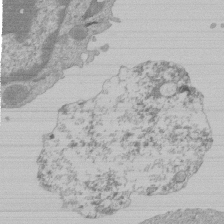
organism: Mouse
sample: Activated Pmel transgenic CD8+ T Cells